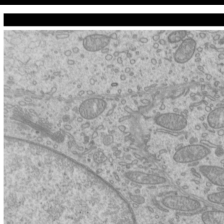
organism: Mouse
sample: Cilia; mouse epididymis